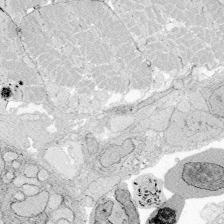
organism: Zebrafish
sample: Whole-Brain